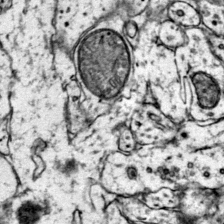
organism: Mouse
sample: Primary visual cortex